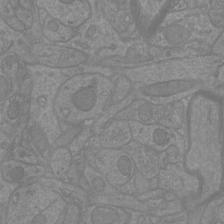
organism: Mouse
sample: Cortical neurons